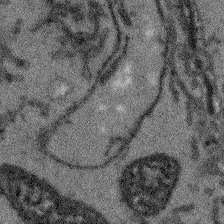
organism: Arabidopsis thaliana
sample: Root tip